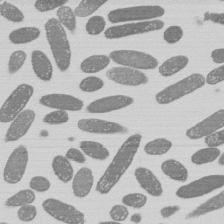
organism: E. coli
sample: Bacterial nucleoid